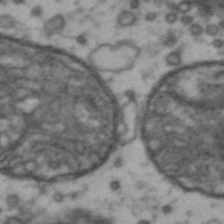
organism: Drosophila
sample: Brain